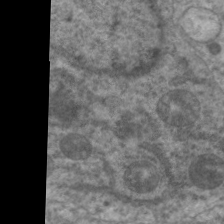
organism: C. elegans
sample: Pharynx